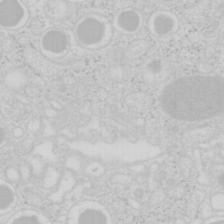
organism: Mouse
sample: Pancreas